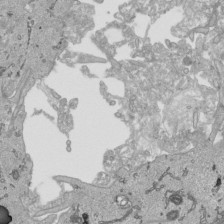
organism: Human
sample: Mitochondria in HCT116 cells